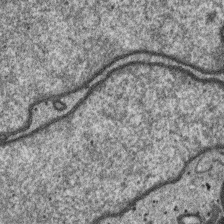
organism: Human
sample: Lung epithelial cells infected with SARS-CoV-2